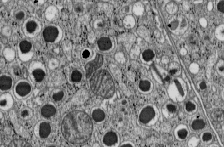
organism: C57BL Mouse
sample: Pancreatic islet